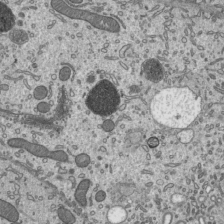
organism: Mouse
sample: Mouse epididymis efferent ductule cilia